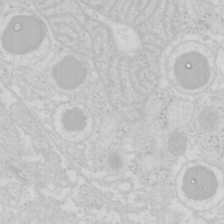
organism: Mouse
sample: Pancreas